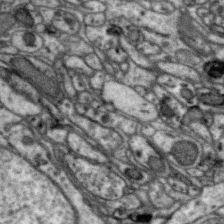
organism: Zebra finch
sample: Brain